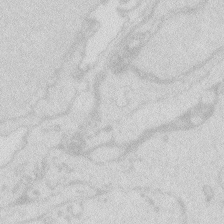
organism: Zebrafish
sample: Macrophage